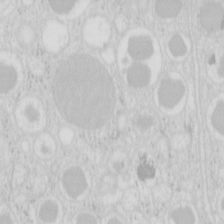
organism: Mouse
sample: Pancreas